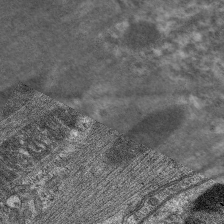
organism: C. elegans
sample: Pharynx